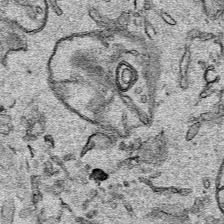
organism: Human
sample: Mitochondria in HCT116 cells